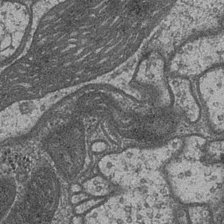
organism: Drosophila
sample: Optic medulla